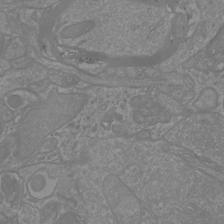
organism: Mouse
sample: Cortical neurons